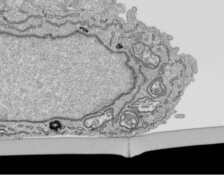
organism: Human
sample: Mitochondria in HCT116 cells